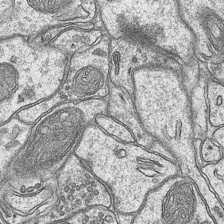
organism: Mouse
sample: CA1 Hippocampus